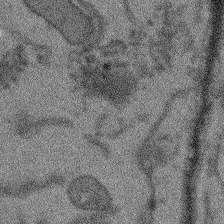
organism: Arabidopsis thaliana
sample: Root tip